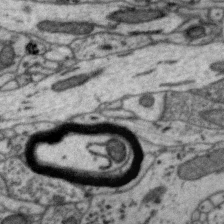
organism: Zebra finch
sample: Brain